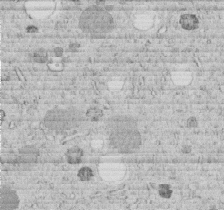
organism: C. elegans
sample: C. elegans embryo early stage